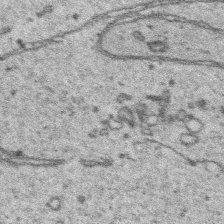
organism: Platynereis dumerilii